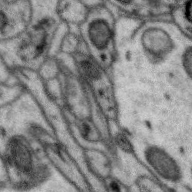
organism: Zebra finch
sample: Brain